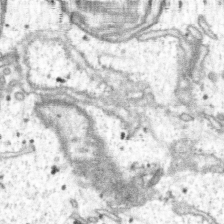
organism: Human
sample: HeLa cells